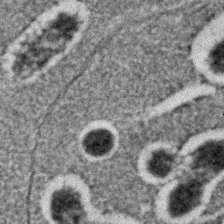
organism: C. elegans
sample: C. elegans embryo